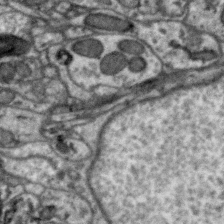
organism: Zebra finch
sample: Brain